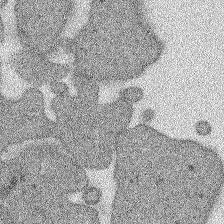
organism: Human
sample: HeLa cells